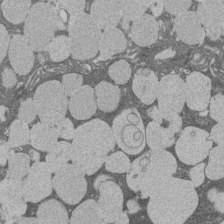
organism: Rat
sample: Salivary granule